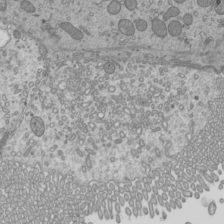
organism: Mouse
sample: Cilia; mouse epididymis